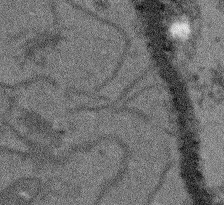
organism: Arabidopsis thaliana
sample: Root tip